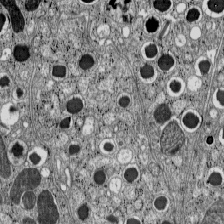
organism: C57BL Mouse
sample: Pancreatic islet